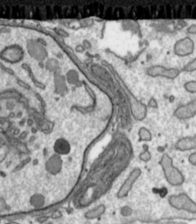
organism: Toxoplasma gondii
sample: Parasites in a vacuole inside a host cell